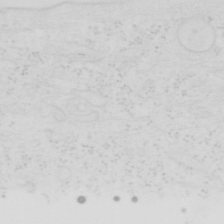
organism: Human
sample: SUM-159 cell